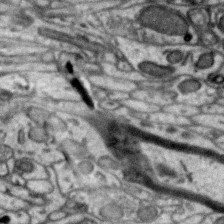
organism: Zebra finch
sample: Brain